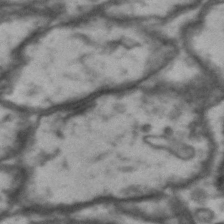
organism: Drosophila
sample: Brain